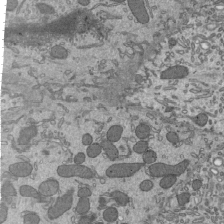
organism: Mouse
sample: Mouse epididymis efferent ductule cilia